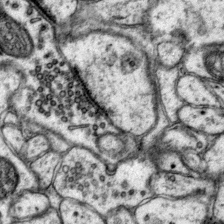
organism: Mouse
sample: Primary visual cortex